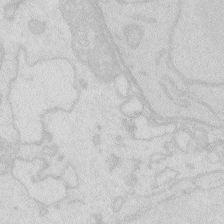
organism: Zebrafish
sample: Macrophage